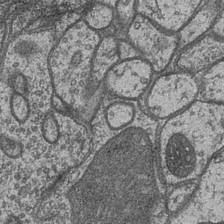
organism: Drosophila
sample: Optic medulla